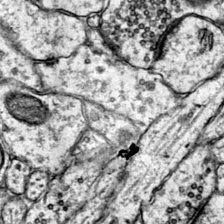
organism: Mouse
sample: Primary visual cortex